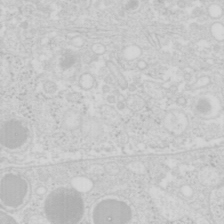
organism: Mouse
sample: Pancreas